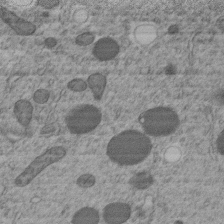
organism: C. elegans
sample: C. elegans embryo early stage